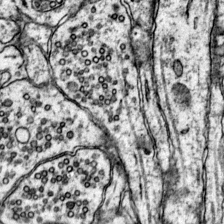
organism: Mouse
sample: Primary visual cortex